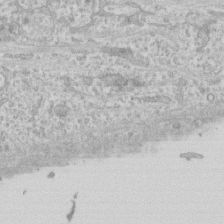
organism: Human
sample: CRL-1474